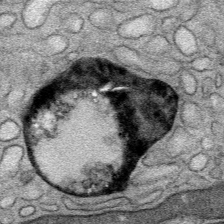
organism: Mouse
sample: Mouse Salivary gland